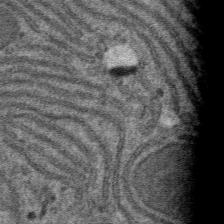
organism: Mouse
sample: Mouse hepatocytes